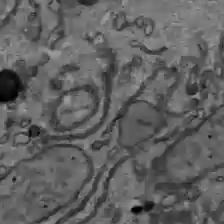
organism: C57BL Mouse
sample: Liver